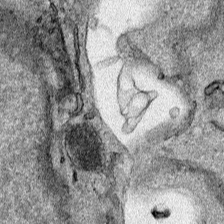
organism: Human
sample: Mitochondria in HCT116 cells